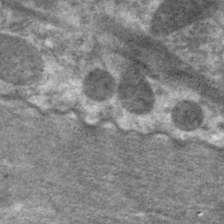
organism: C. elegans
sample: Pharynx